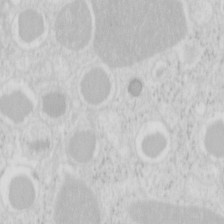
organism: Mouse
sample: Pancreas